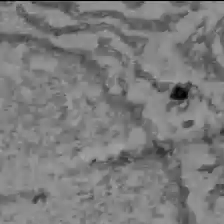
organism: C57BL Mouse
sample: Liver